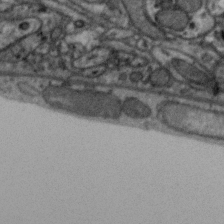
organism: Zebra finch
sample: Brain